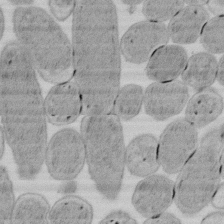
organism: E. coli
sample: Bacterial nucleoid